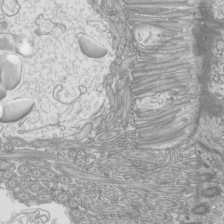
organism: Mouse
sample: Cilia; mouse epididymis